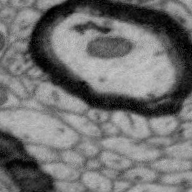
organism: Zebra finch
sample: Brain